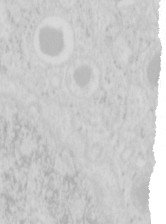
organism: Mouse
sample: Pancreas